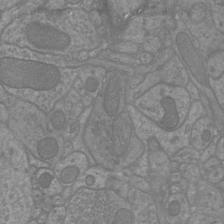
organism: Mouse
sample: Cortical neurons